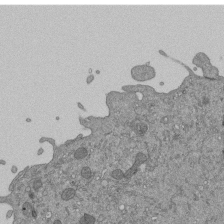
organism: Mouse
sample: ED-1 cell nuclei; centrioles